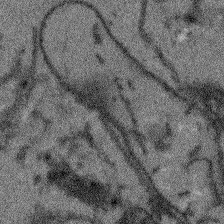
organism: Arabidopsis thaliana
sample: Root tip